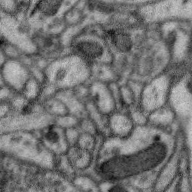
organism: Zebra finch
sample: Brain